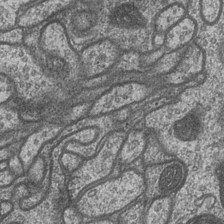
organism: Drosophila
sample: Optic medulla